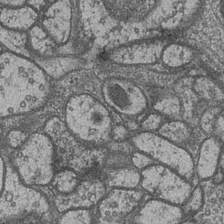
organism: Drosophila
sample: Optic medulla